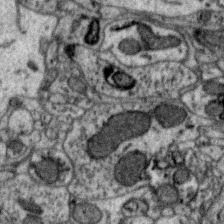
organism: Zebra finch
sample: Brain